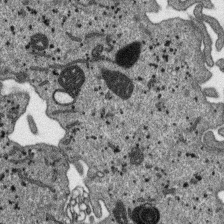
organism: Human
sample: Lung epithelial cells infected with SARS-CoV-2